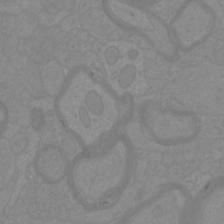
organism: Mouse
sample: Cortical neurons